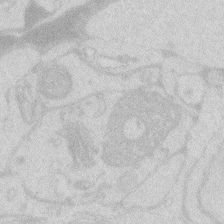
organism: Zebrafish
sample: Macrophage